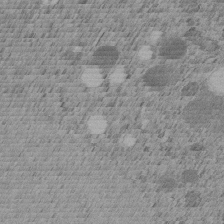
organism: C. elegans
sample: C. elegans embryo early stage